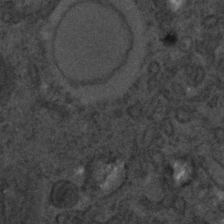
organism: C. elegans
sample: C. elegans embryo